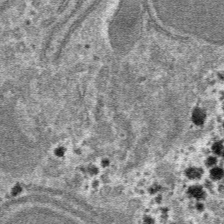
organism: Mouse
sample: Mouse hepatocytes